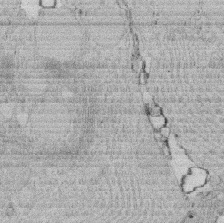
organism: Rat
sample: Salivary granule